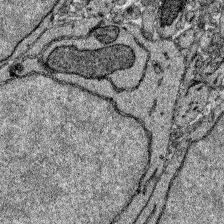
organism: Zebrafish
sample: Larval olfactory bulb